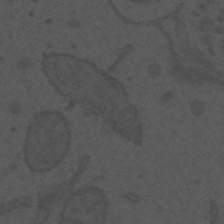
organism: Mouse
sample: Suprachiasmatic nucleus